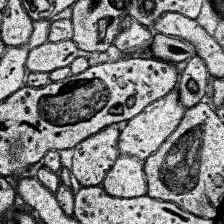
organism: Human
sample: Temporal Lobe